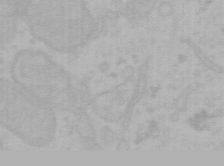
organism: Mouse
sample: Choroid plexus